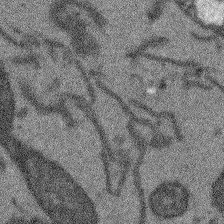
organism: Arabidopsis thaliana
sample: Root tip